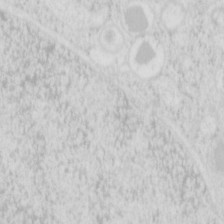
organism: Mouse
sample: Pancreas